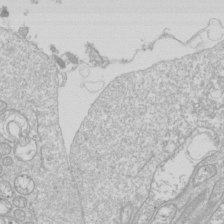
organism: Drosophila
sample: Cell division; meiosis; drosophila spermatocytes